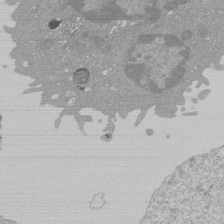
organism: Mouse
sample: Activated Pmel transgenic CD8+ T Cells